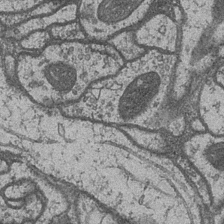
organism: Drosophila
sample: Optic medulla